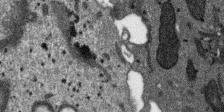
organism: Human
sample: Lung epithelial cells infected with SARS-CoV-2